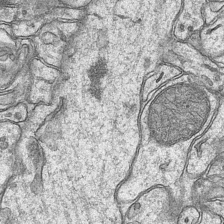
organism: Mouse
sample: CA1 Hippocampus